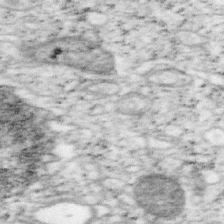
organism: Mouse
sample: OT-I killer T cells with ID8 ovarian cancer cells